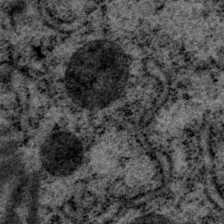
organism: P. pacificus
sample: Pharynx